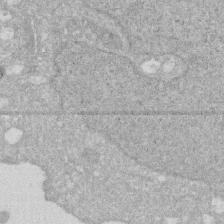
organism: Human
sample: HIV infected U937 cells